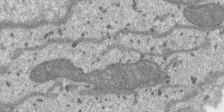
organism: Human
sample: Lung epithelial cells infected with SARS-CoV-2